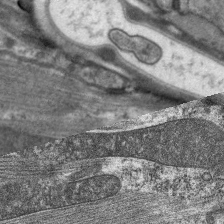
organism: C. elegans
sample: Pharynx